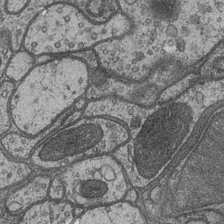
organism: Drosophila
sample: Optic medulla